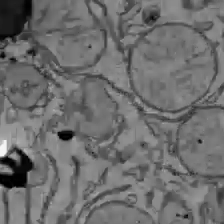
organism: C57BL Mouse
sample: Liver